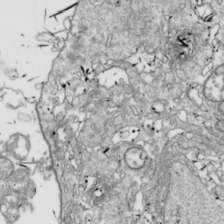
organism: Drosophila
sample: Cell division; meiosis; drosophila spermatocytes